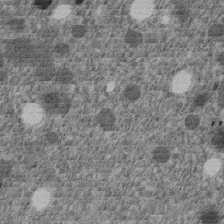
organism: C. elegans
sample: C. elegans embryo early stage